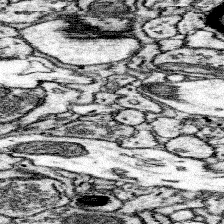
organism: Mouse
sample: Somatosensory cortex neuropil